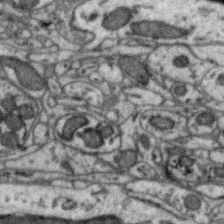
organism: Zebra finch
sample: Brain